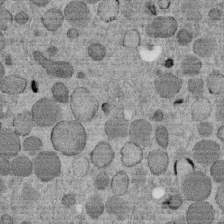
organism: C. elegans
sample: C. elegans embryo early stage